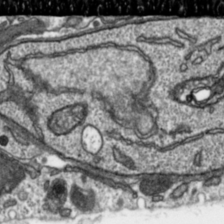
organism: Toxoplasma gondii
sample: Parasites in a vacuole inside a host cell